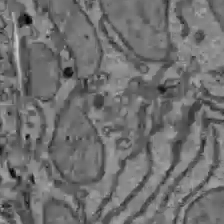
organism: C57BL Mouse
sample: Liver